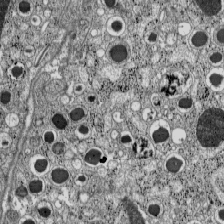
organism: C57BL Mouse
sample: Pancreatic islet